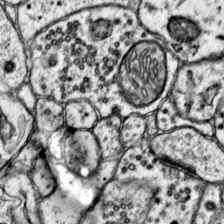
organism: Mouse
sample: Primary visual cortex